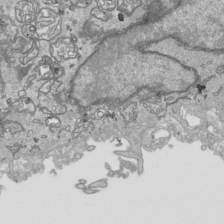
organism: Human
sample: Mitochondria in HCT116 cells